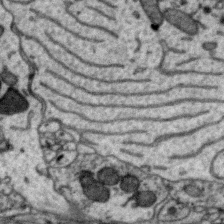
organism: Zebra finch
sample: Brain